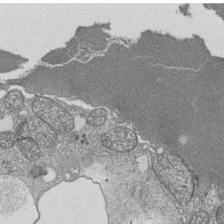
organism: Tetrahymena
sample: Cilia in tetrahymena